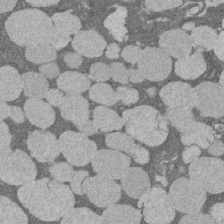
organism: Rat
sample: Salivary granule